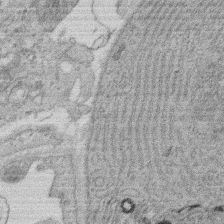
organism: Rat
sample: Salivary granule